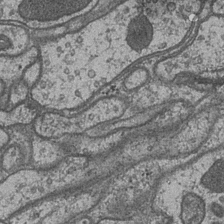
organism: Drosophila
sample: Optic medulla